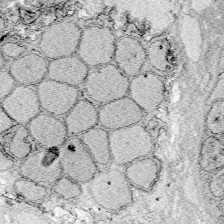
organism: Zebrafish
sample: Whole-Brain